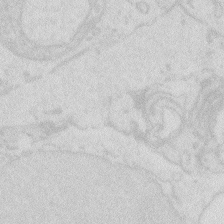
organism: Zebrafish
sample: Macrophage